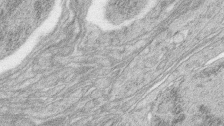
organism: Zebrafish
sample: synaptic ribbons in rod cells and cone cells